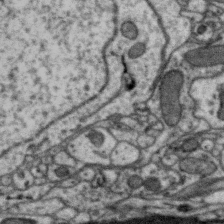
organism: Zebra finch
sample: Brain